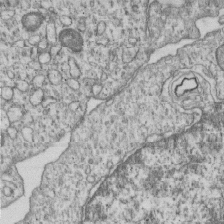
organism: Human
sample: MDA-MB-231 cells